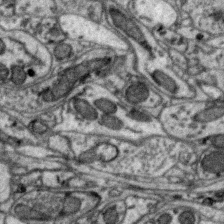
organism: Zebra finch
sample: Brain